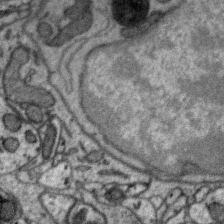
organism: Zebra finch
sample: Brain